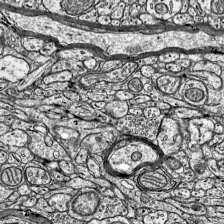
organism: Mouse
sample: Visual Cortex